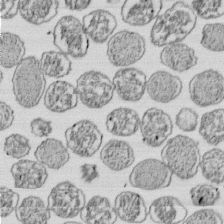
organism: E. coli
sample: Bacterial nucleoid